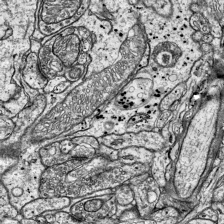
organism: Mouse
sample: Visual Cortex